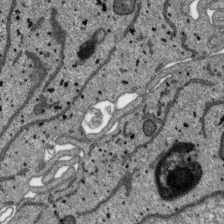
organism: Human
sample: Lung epithelial cells, uninfected (mock) control